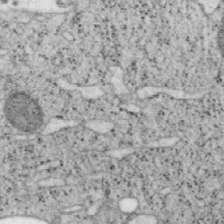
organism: Mouse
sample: OT-I killer T cells with ID8 ovarian cancer cells